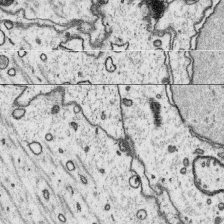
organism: Platynereis dumerilii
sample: Parapodia